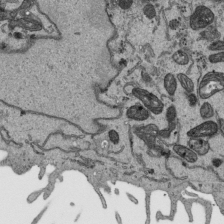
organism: Human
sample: Mitochondria in HCT116 cells